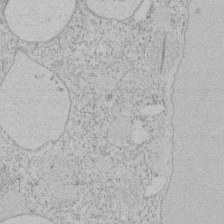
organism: Tetrahymena